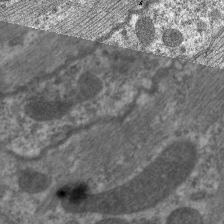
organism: C. elegans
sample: Pharynx